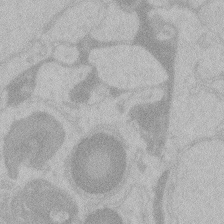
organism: Zebrafish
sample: Macrophage infected with Toxoplasma gondii